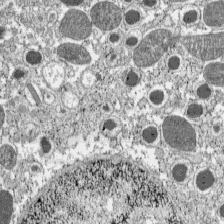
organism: C57BL Mouse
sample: Pancreatic islet